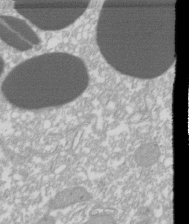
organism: Xenopus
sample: Cilia; centrioles in frog embryo cells